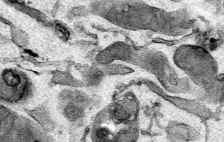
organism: Mouse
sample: Cancer cell death in ED-1 cells